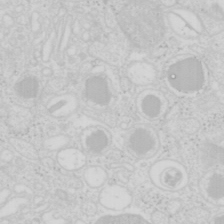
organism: Mouse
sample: Pancreas